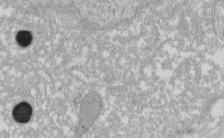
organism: Xenopus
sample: Cilia; centrioles in frog embryo cells